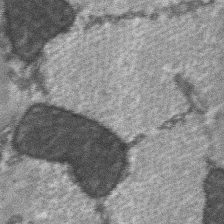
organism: C57BL Mouse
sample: Soleus